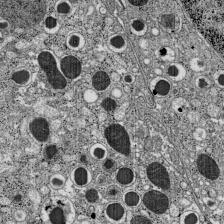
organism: C57BL Mouse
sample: Pancreatic islet